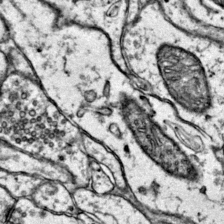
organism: Mouse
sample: Primary visual cortex